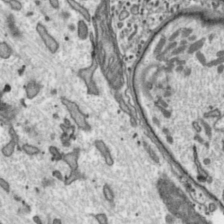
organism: Toxoplasma gondii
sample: Parasites in a vacuole inside a host cell